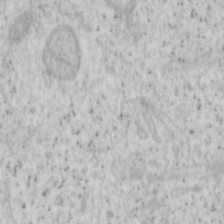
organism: Human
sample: HeLa cells